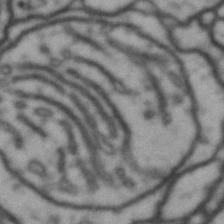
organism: Drosophila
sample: Brain